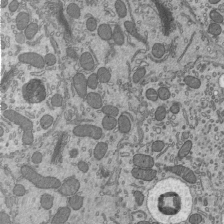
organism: Mouse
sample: Mouse epididymis efferent ductule cilia